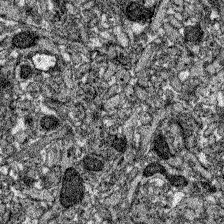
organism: Zebrafish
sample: Larval olfactory bulb